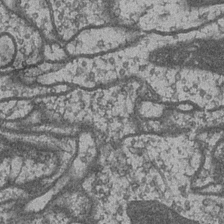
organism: Drosophila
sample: Optic medulla